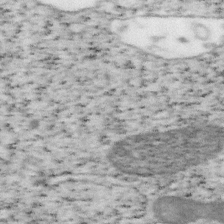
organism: Mouse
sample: OT-I killer T cells with ID8 ovarian cancer cells